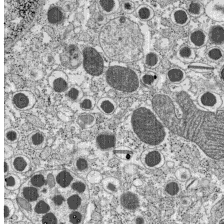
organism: C57BL Mouse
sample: Pancreatic islet